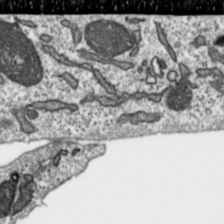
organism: Toxoplasma gondii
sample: Parasites in a vacuole inside a host cell